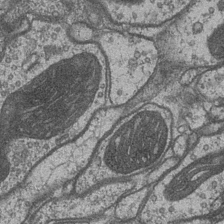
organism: Drosophila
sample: Optic medulla